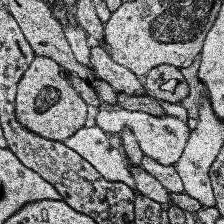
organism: Human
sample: Temporal Lobe